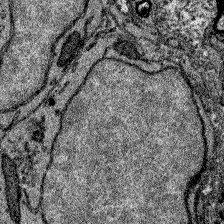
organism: Zebrafish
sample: Larval olfactory bulb